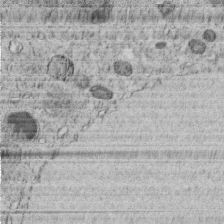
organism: C. elegans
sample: C. elegans embryo early stage